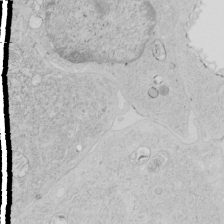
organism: Human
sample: Mitochondria in HCT116 cells